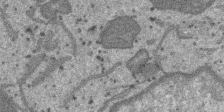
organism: Human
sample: Lung epithelial cells infected with SARS-CoV-2